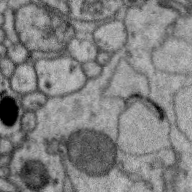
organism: Zebra finch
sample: Brain